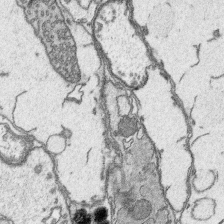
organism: Platynereis dumerilii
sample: Parapodia